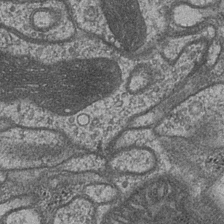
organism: Drosophila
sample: Optic medulla